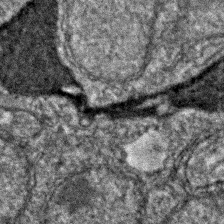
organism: Zebrafish